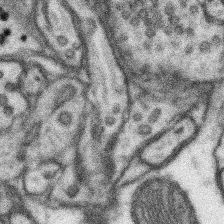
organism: Mouse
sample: Somatosensory cortex neuropil